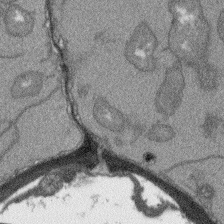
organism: Arabidopsis thaliana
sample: Root tip